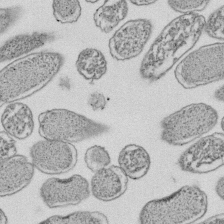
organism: E. coli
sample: Bacterial nucleoid